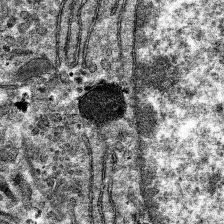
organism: Mouse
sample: Mouse hepatocytes